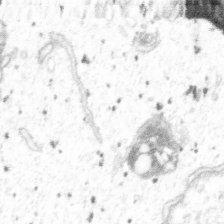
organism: Human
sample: HeLa cells